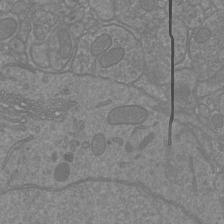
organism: Mouse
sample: Cortical neurons